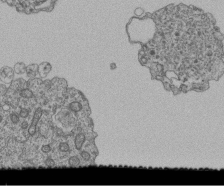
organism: Human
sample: Retinal organoid Rod and Cone cells